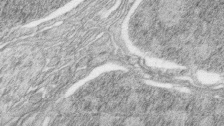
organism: Zebrafish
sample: synaptic ribbons in rod cells and cone cells